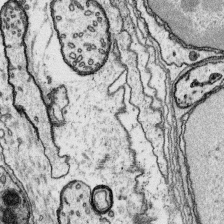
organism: Platynereis dumerilii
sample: Parapodia